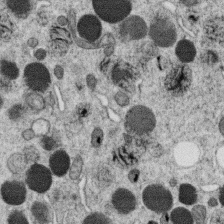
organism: C. elegans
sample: C. elegans oocyte; sperm cells